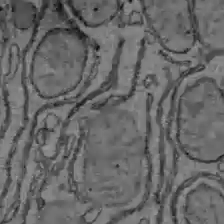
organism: C57BL Mouse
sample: Liver